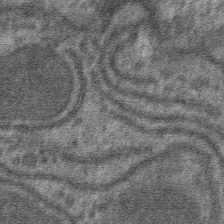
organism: Mouse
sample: Mouse hepatocytes